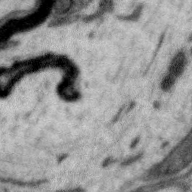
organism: Zebra finch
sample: Brain